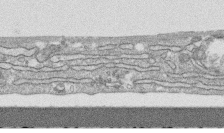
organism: Human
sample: CRL-1474